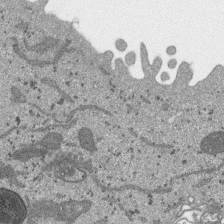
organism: Human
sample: Lung epithelial cells infected with SARS-CoV-2